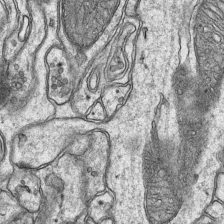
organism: Mouse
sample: CA1 Hippocampus